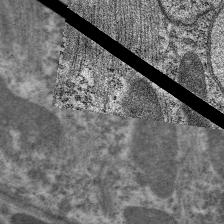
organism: C. elegans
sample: Pharynx